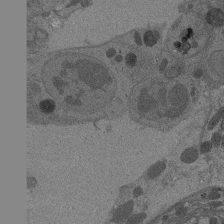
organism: Drosophila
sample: Antenna